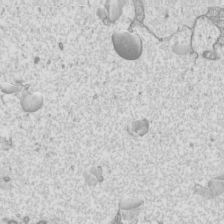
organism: Mouse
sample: Cilia; mouse epididymis